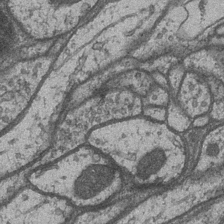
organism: Drosophila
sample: Optic medulla